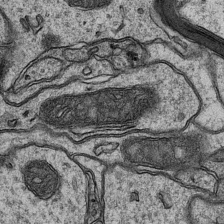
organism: Mouse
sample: CA1 Hippocampus